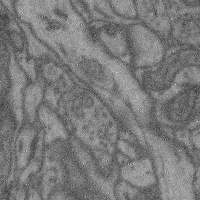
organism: Mouse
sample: Cerebral cortex